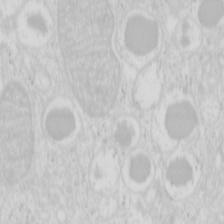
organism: Mouse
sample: Pancreas